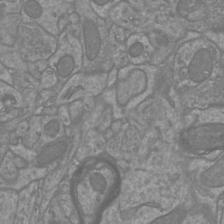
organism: Mouse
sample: Cortical neurons